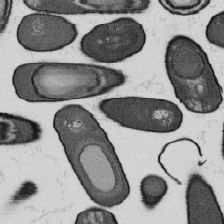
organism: B. subtilis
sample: Bacterial spore